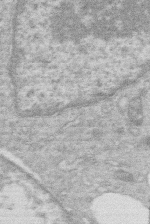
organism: Human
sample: Macrophage cells